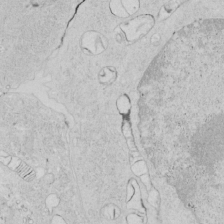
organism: Human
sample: Mitochondria in HCT116 cells